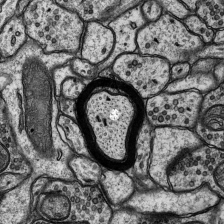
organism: Rat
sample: Hippocampus